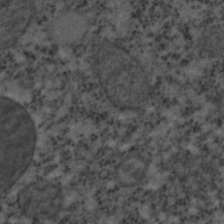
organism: C. elegans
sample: C. elegans embryo